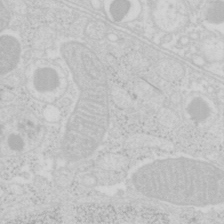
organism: Mouse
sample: Pancreas